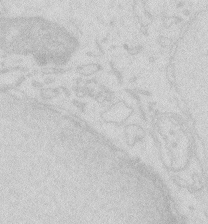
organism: Zebrafish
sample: Macrophage